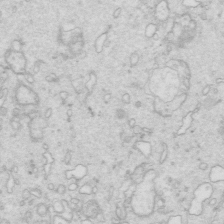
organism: Mouse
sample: Multiciliated cells